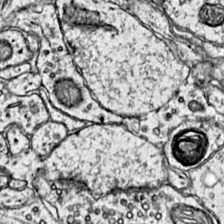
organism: Mouse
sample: Primary visual cortex